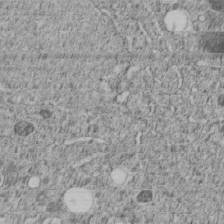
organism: C. elegans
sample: C. elegans embryo early stage